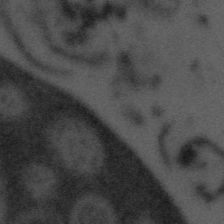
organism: Tuwongella immobilis